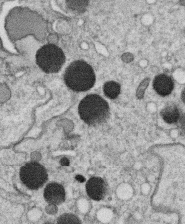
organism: C. elegans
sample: C. elegans oocyte; sperm cells